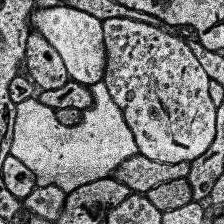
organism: Human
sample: Temporal Lobe